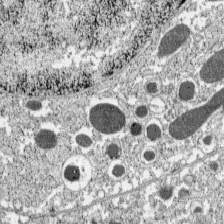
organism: C57BL Mouse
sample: Pancreatic islet